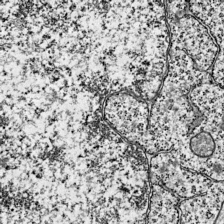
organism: Mouse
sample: Visual Cortex